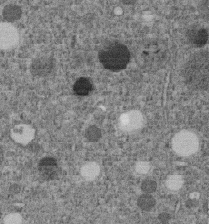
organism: C. elegans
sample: C. elegans embryo early stage